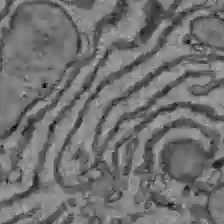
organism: C57BL Mouse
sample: Liver